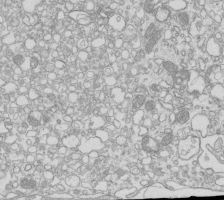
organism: Mouse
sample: Macrophages